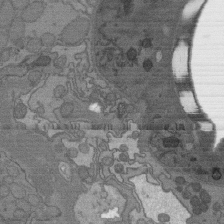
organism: C. elegans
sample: AFD neurons C. elegans